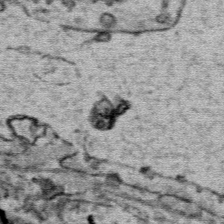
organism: Mouse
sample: Mouse Salivary gland